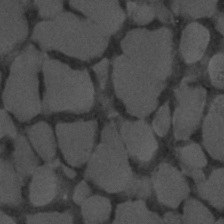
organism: C. elegans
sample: C. elegans embryo